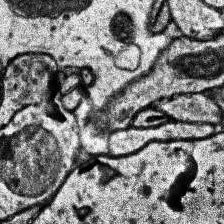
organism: Human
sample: Temporal Lobe